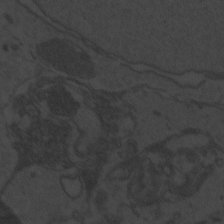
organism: Zebrafish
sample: Macrophage infected with Toxoplasma gondii